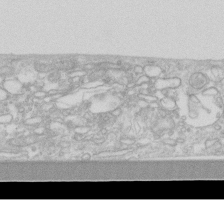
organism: Human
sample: Fibroblast cells